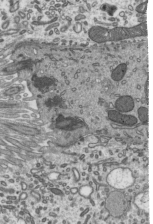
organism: Mouse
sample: Mouse epididymis efferent ductule cilia